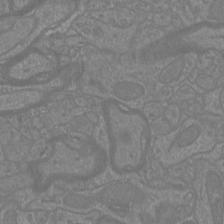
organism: Mouse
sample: Cortical neurons